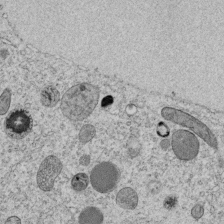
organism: C. elegans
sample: C. elegans embryo early stage